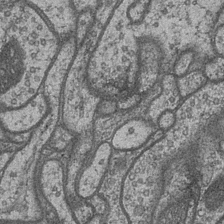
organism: Drosophila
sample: Optic medulla